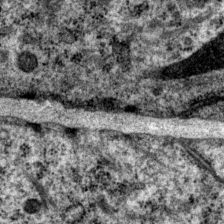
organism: P. pacificus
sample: Pharynx